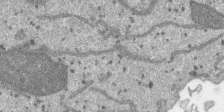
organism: Human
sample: Lung epithelial cells infected with SARS-CoV-2